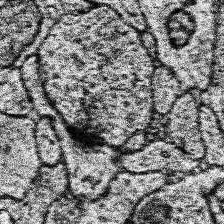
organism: Human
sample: Temporal Lobe